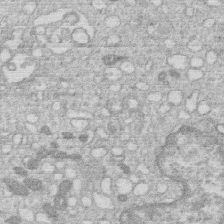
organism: Human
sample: Macrophage cells